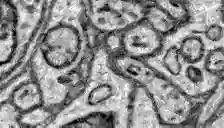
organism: Zebrafish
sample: Brain